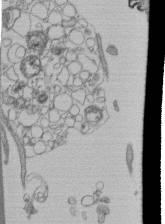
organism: Human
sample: Retinal organoid Rod and Cone cells